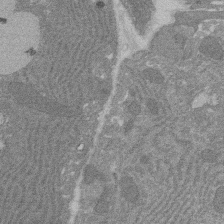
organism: Rat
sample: Salivary granule